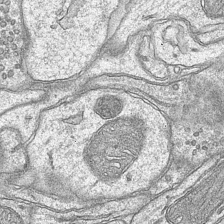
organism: Mouse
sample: CA1 Hippocampus